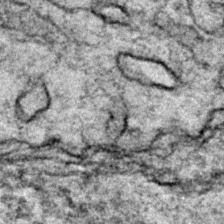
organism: Zebrafish